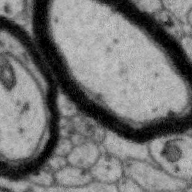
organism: Zebra finch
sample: Brain